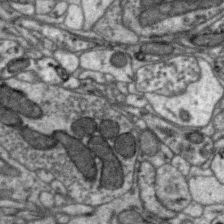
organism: Zebra finch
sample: Brain